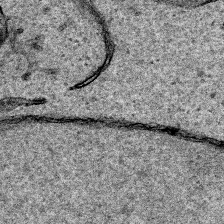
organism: Human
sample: Mitochondria in HCT116 cells